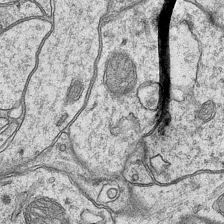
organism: Mouse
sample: CA1 Hippocampus